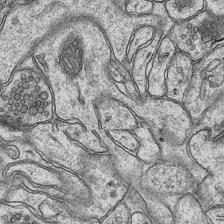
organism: Mouse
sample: CA1 Hippocampus